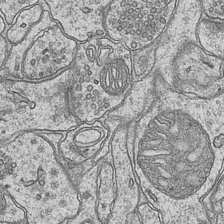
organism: Mouse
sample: CA1 Hippocampus